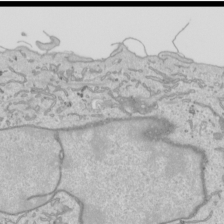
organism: Human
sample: Mitochondria in HCT116 cells